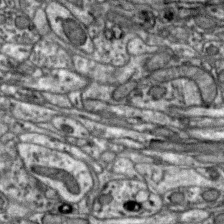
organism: Zebra finch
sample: Brain